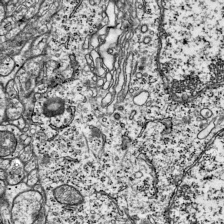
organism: Mouse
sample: Visual Cortex